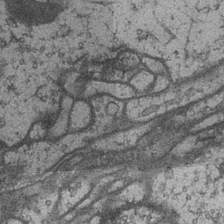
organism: Drosophila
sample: Optic medulla